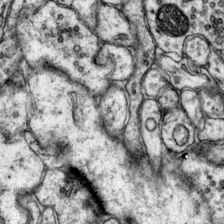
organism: Mouse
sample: Primary visual cortex